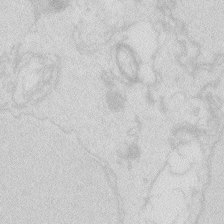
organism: Zebrafish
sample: Macrophage